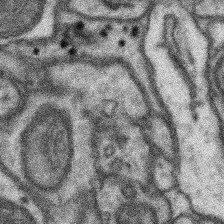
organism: Mouse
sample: Somatosensory cortex neuropil